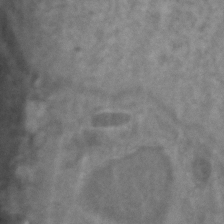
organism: Zebrafish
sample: Zebrafish embryo